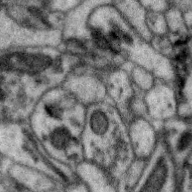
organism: Zebra finch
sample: Brain